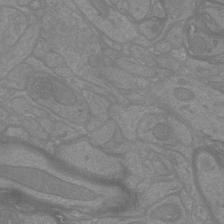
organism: Mouse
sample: Cortical neurons